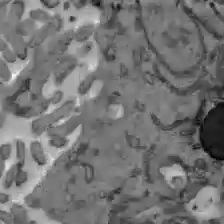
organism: C57BL Mouse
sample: Liver